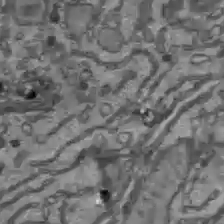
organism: C57BL Mouse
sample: Liver